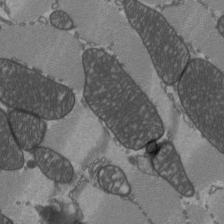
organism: C57BL Mouse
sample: Heart